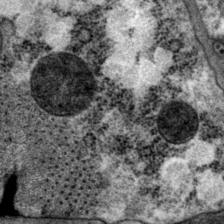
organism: P. pacificus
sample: Pharynx